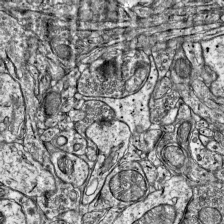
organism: Mouse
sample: Visual Cortex